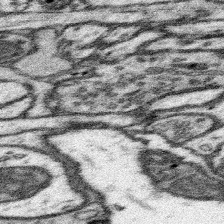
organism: Mouse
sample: Somatosensory cortex neuropil